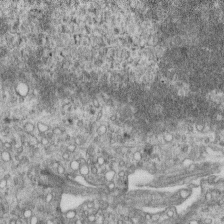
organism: Mouse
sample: Centriole in ependymal cells